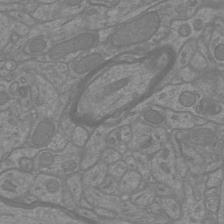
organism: Mouse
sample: Cortical neurons